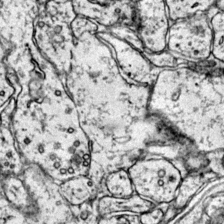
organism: Mouse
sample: Primary visual cortex